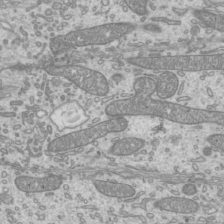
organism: Mouse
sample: Cilia; mouse epididymis